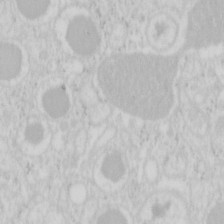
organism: Mouse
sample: Pancreas